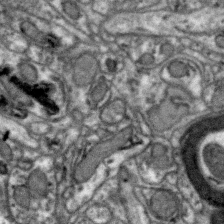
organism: Zebra finch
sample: Brain